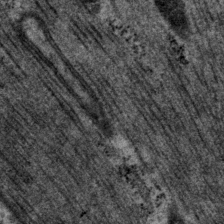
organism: P. pacificus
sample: Pharynx